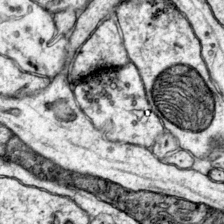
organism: Mouse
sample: Primary visual cortex